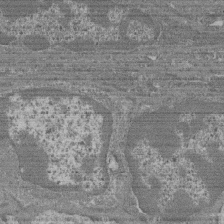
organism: Mouse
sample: Glomerulus